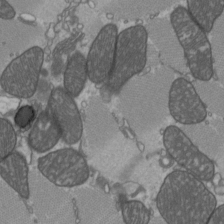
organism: C57BL Mouse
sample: Heart